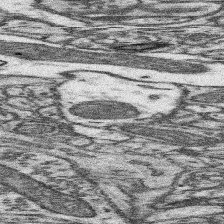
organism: Mouse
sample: Somatosensory cortex neuropil